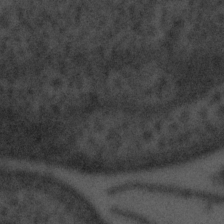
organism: Tuwongella immobilis